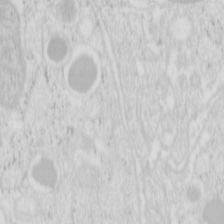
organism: Mouse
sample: Pancreas